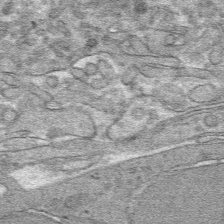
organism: Mouse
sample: Mouse hepatocytes